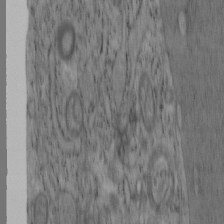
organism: Human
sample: HeLa cells